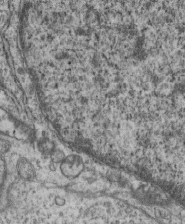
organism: Mouse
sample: Centriole in ependymal cells